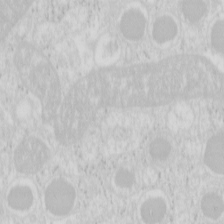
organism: Mouse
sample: Pancreas